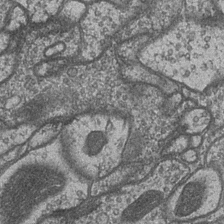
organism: Drosophila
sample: Optic medulla